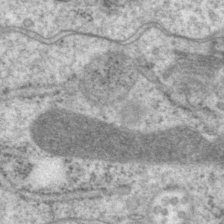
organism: P. pacificus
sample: Pharynx